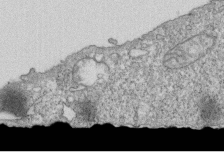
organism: Human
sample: HeLa cell HIV synapse